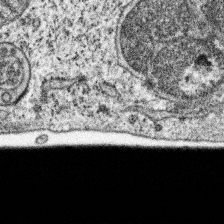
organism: Human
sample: HeLa cells